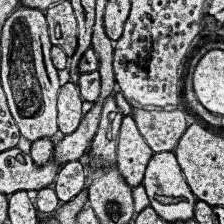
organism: Human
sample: Temporal Lobe